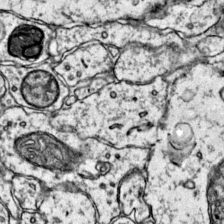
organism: Mouse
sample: Primary visual cortex